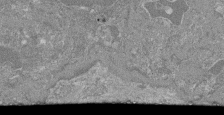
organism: Mouse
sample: Glomerulus